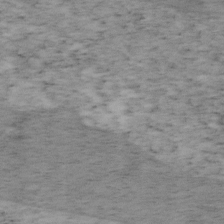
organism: Mouse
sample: OT-I killer T cells with ID8 ovarian cancer cells